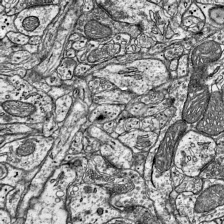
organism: Mouse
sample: Visual Cortex